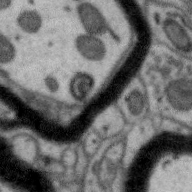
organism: Zebra finch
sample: Brain